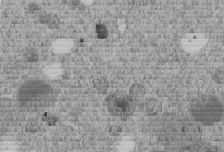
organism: C. elegans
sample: C. elegans embryo early stage